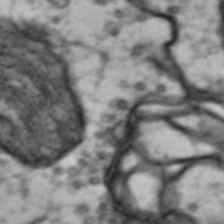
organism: Drosophila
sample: Brain